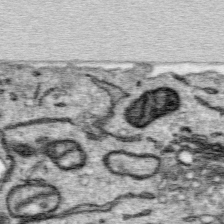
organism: Human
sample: HeLa cells